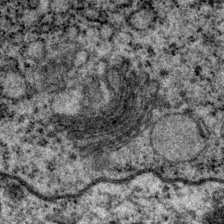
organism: P. pacificus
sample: Pharynx